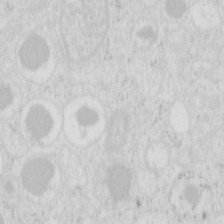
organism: Mouse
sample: Pancreas